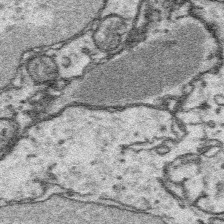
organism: Platynereis dumerilii